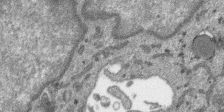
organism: Human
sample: Lung epithelial cells infected with SARS-CoV-2